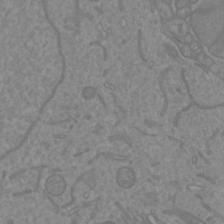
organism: Mouse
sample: Cortical neurons